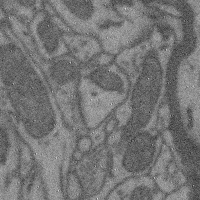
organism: Mouse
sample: Cerebral cortex